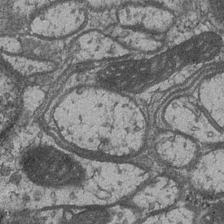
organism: Drosophila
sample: Optic medulla